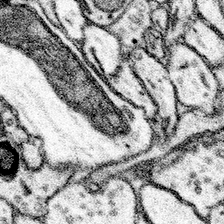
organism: Mouse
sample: Somatosensory cortex neuropil